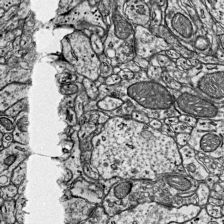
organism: Mouse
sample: Visual Cortex